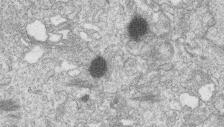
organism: Human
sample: HeLa cell HIV synapse